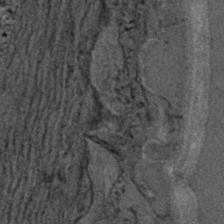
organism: C. elegans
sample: C. elegans embryo